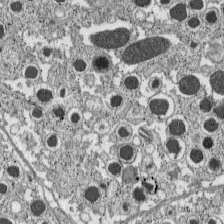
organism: C57BL Mouse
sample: Pancreatic islet